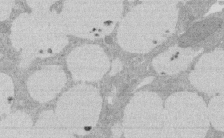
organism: Rat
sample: Salivary granule